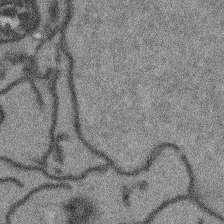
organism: Arabidopsis thaliana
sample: Root tip